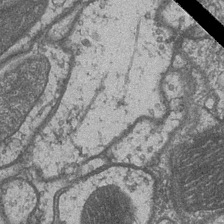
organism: Drosophila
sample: Optic medulla